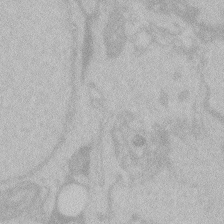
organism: Zebrafish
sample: Macrophage infected with Toxoplasma gondii